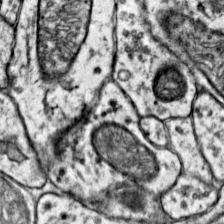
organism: Mouse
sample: Primary visual cortex